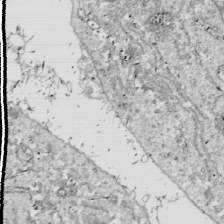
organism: Drosophila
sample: Cell division; meiosis; drosophila spermatocytes